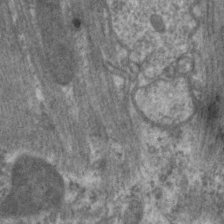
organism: C. elegans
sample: Pharynx